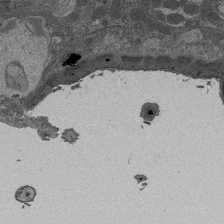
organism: Drosophila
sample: Antenna